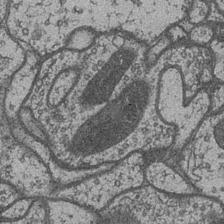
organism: Drosophila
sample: Optic medulla